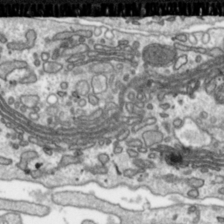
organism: Toxoplasma gondii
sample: Parasites in a vacuole inside a host cell